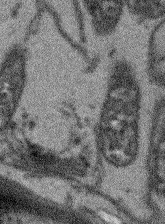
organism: Arabidopsis thaliana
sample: Root tip